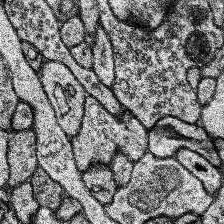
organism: Human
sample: Temporal Lobe